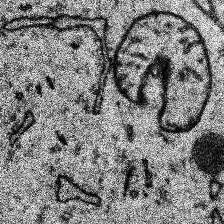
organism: Human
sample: Temporal Lobe